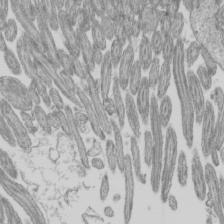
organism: Mouse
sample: Cilia; mouse epididymis